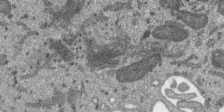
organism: Human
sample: Lung epithelial cells infected with SARS-CoV-2